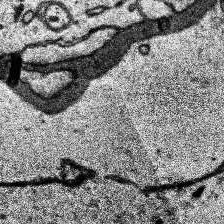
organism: Human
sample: Temporal Lobe